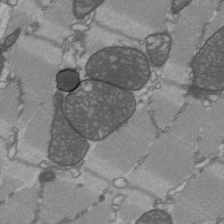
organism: C57BL Mouse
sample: Heart